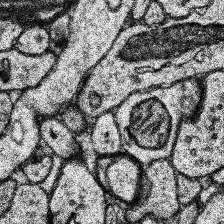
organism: Human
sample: Temporal Lobe